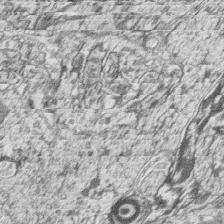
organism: Zebrafish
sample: synaptic ribbons in rod cells and cone cells